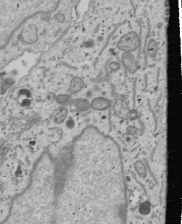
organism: Human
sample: Mitochondria in U2OS cells